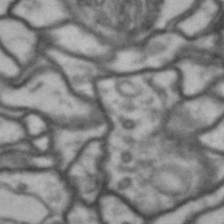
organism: Drosophila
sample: Brain